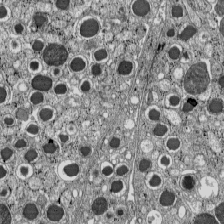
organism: C57BL Mouse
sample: Pancreatic islet